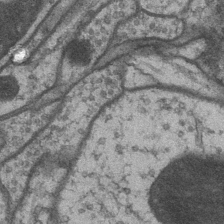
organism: Drosophila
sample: Optic medulla